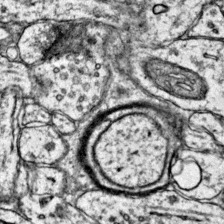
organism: Mouse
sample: Primary visual cortex